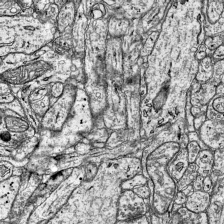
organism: Mouse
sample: Visual Cortex